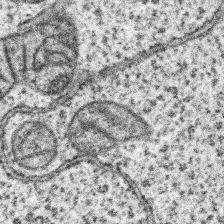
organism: Human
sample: HeLa cells